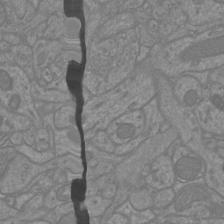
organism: Mouse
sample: Cortical neurons